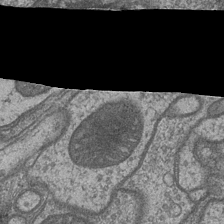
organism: Drosophila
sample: Optic medulla